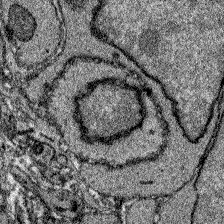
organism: Zebrafish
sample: Larval olfactory bulb